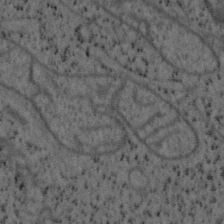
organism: Human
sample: HeLa cells